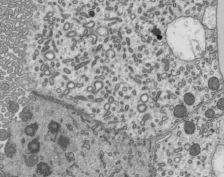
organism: Mouse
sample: Mouse epididymis efferent ductule cilia